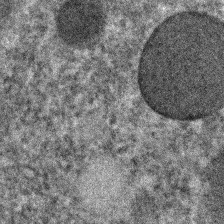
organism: C. elegans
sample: C. elegans embryo